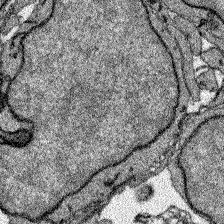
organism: Zebrafish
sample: Larval olfactory bulb